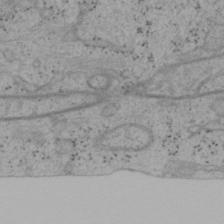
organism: Human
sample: HeLa cells